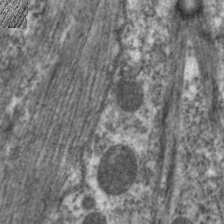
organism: C. elegans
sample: Pharynx